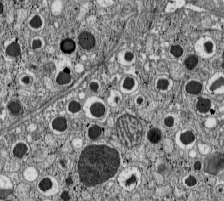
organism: C57BL Mouse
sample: Pancreatic islet